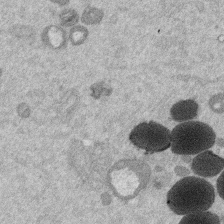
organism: Mouse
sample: Dividing mouse embryo 1 cell stage